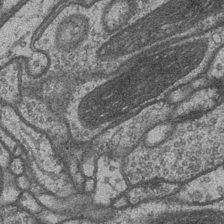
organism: Drosophila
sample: Optic medulla